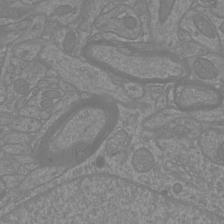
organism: Mouse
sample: Cortical neurons